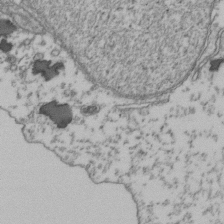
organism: Human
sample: Activated Jurkat CD4+ T cells